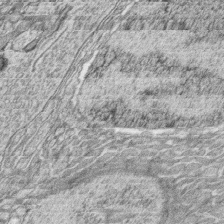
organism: Zebrafish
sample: synaptic ribbons in rod cells and cone cells